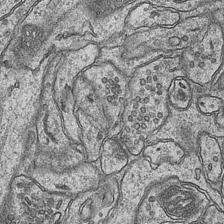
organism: Mouse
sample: CA1 Hippocampus